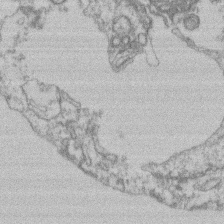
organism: Mouse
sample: T cell stromal cell synapse